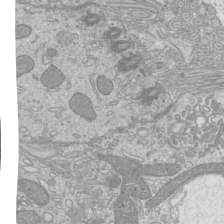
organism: Mouse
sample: Cilia; mouse epididymis